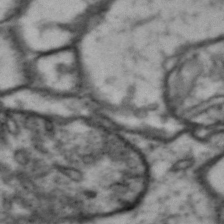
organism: Drosophila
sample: Brain